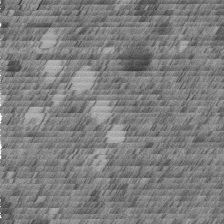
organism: C. elegans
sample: C. elegans embryo early stage